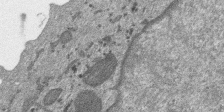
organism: Human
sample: Lung epithelial cells infected with SARS-CoV-2